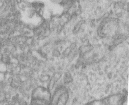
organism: Human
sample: Centriole in RPE cells